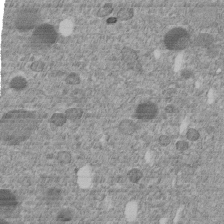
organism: C. elegans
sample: C. elegans embryo early stage